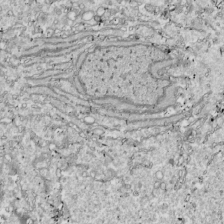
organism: Drosophila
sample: Cell division; meiosis; drosophila spermatocytes